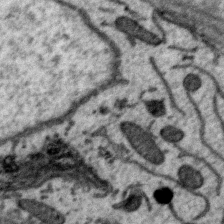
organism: Zebra finch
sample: Brain